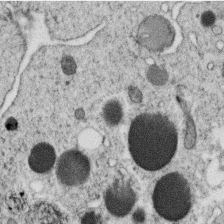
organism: C. elegans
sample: C. elegans oocyte; sperm cells